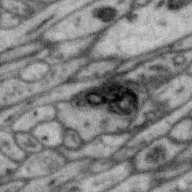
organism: Zebra finch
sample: Brain